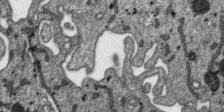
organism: Human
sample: Lung epithelial cells infected with SARS-CoV-2